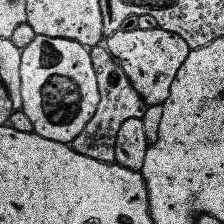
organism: Human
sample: Temporal Lobe